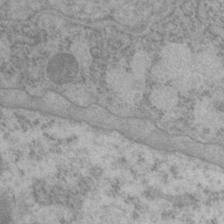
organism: P. pacificus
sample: Pharynx